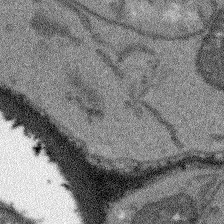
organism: Arabidopsis thaliana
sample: Root tip